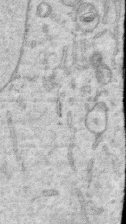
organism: Human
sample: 1205lu cells